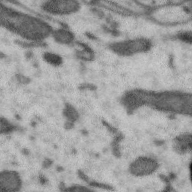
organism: Zebra finch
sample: Brain